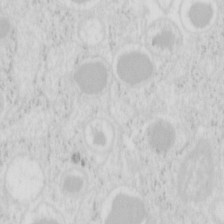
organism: Mouse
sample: Pancreas